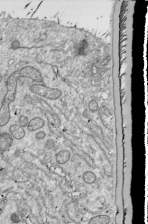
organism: Drosophila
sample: Cell division; meiosis; drosophila spermatocytes